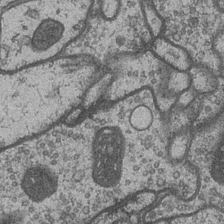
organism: Drosophila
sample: Optic medulla